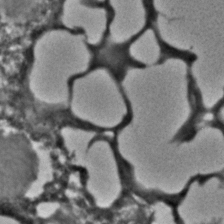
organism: C. elegans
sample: C. elegans embryo